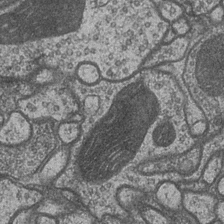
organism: Drosophila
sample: Optic medulla